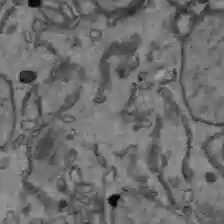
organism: C57BL Mouse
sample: Liver